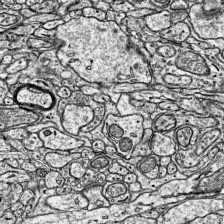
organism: Mouse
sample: Visual Cortex